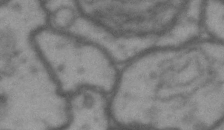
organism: Drosophila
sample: Brain